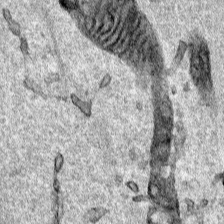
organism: Human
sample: Mitochondria in HCT116 cells